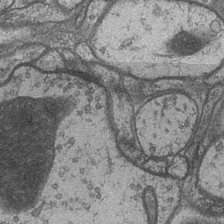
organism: Drosophila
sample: Optic medulla